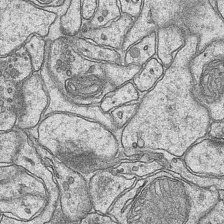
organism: Mouse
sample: CA1 Hippocampus